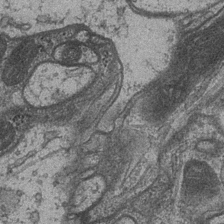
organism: Drosophila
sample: Optic medulla